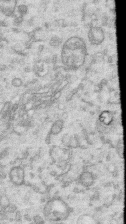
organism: Human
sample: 1205lu cells